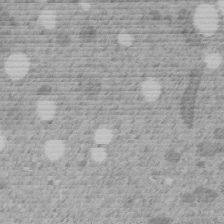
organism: C. elegans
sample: C. elegans embryo early stage